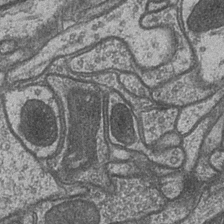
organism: Drosophila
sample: Optic medulla